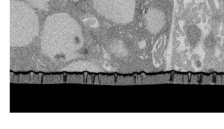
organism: Rat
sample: Salivary granule